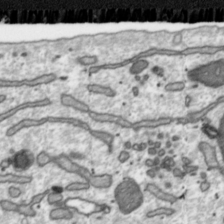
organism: Toxoplasma gondii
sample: Parasites in a vacuole inside a host cell